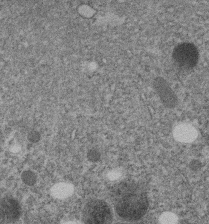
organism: C. elegans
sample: C. elegans embryo early stage